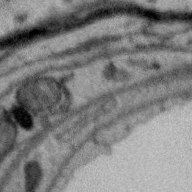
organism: Zebra finch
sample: Brain